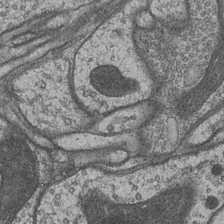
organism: Drosophila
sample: Optic medulla